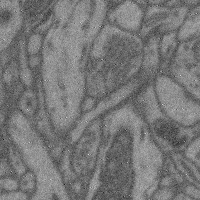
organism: Mouse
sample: Cerebral cortex